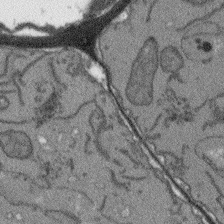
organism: Arabidopsis thaliana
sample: Root tip